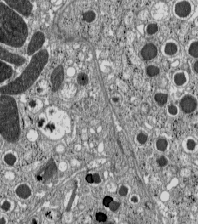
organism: C57BL Mouse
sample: Pancreatic islet